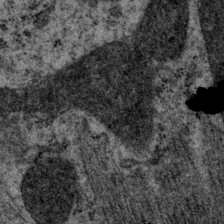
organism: P. pacificus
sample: Pharynx